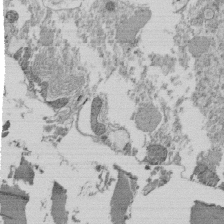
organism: Tetrahymena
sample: Cilia in tetrahymena